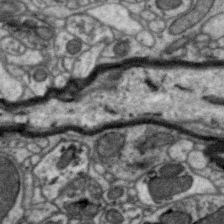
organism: Zebra finch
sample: Brain